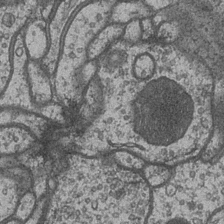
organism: Drosophila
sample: Optic medulla